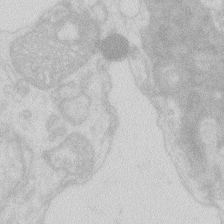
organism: Zebrafish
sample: Macrophage